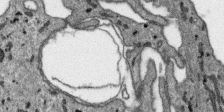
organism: Human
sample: Lung epithelial cells, uninfected (mock) control